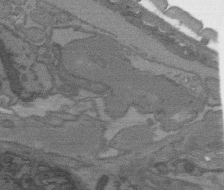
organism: C. elegans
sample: AFD neurons C. elegans